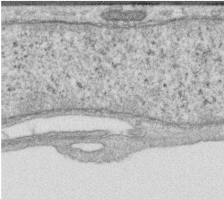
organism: Human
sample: Centriole in RPE cells